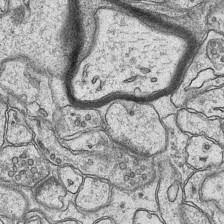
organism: Mouse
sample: CA1 Hippocampus